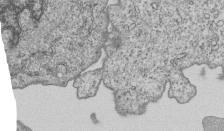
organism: Human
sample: MDA-MB-231 cells